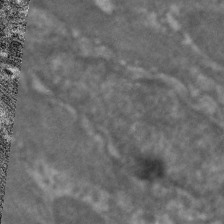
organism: C. elegans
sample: Pharynx